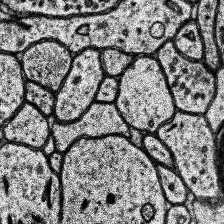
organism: Human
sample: Temporal Lobe